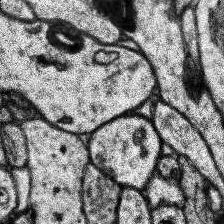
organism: Human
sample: Temporal Lobe